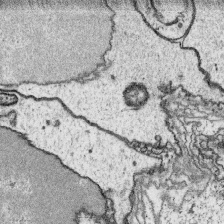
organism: Platynereis dumerilii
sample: Parapodia